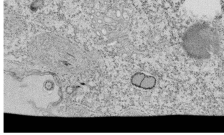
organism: Tetrahymena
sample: Cilia in tetrahymena